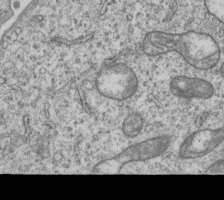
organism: Human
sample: MDA-MB-231 cells